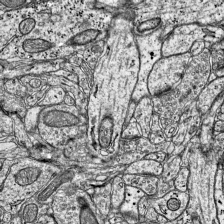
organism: Mouse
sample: Visual Cortex